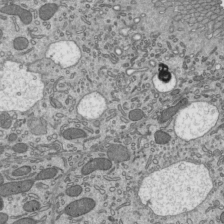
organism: Mouse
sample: Mouse epididymis efferent ductule cilia